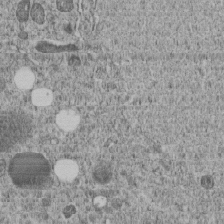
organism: C. elegans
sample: C. elegans embryo early stage